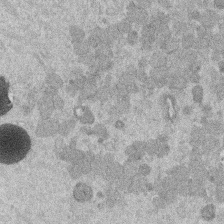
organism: Mouse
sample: Dividing mouse embryo 1 cell stage